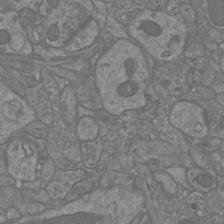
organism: Mouse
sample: Cortical neurons